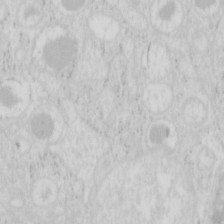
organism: Mouse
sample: Pancreas